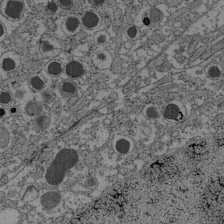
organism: C57BL Mouse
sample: Pancreatic islet